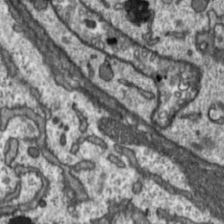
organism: Toxoplasma gondii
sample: Parasites in a vacuole inside a host cell